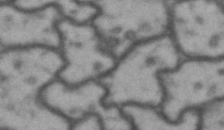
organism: Drosophila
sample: Brain